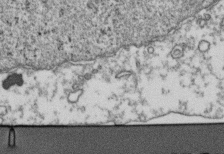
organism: Human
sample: Activated Jurkat CD4+ T cells